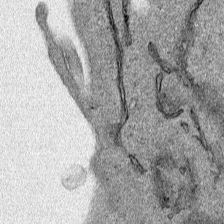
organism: Human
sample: Mitochondria in HCT116 cells